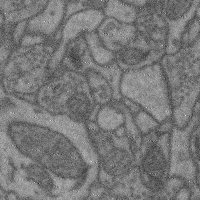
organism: Mouse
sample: Cerebral cortex